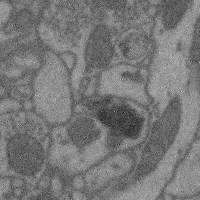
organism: Mouse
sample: Cerebral cortex